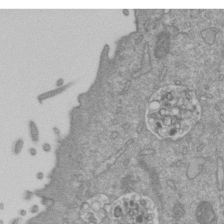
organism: Mouse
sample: ED-1 cell nuclei; centrioles